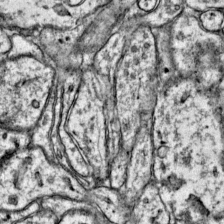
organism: Mouse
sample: Primary visual cortex